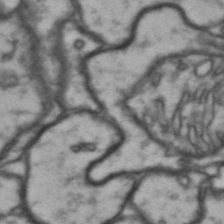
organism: Drosophila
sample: Brain